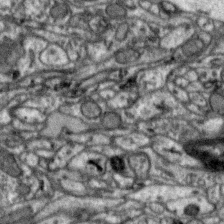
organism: Zebra finch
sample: Brain